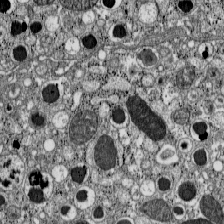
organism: C57BL Mouse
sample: Pancreatic islet